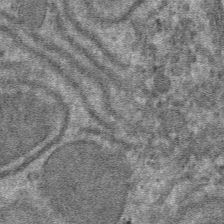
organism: Mouse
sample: Mouse hepatocytes